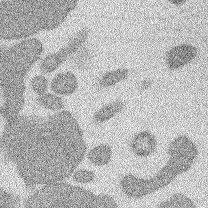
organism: Human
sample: HeLa cells